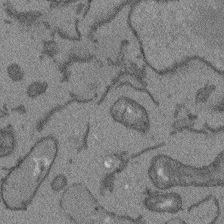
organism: Arabidopsis thaliana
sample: Root tip